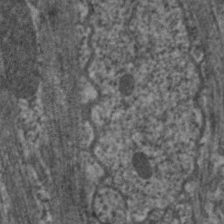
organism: C. elegans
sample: Pharynx